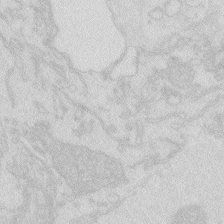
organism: Zebrafish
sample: Macrophage